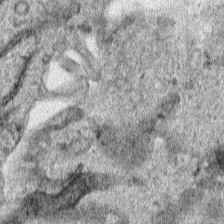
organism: Human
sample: Mitochondria in HCT116 cells